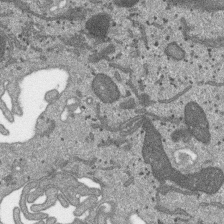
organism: Human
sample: Lung epithelial cells infected with SARS-CoV-2